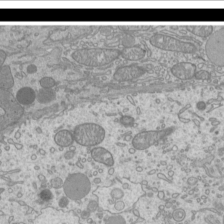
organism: Mouse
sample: Cilia; mouse epididymis